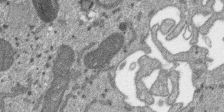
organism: Human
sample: Lung epithelial cells infected with SARS-CoV-2